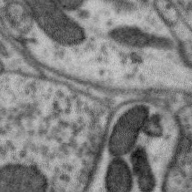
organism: Zebra finch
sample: Brain